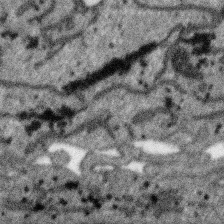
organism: Human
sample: Lung epithelial cells infected with SARS-CoV-2